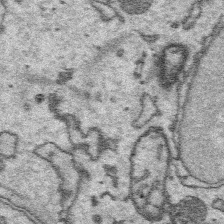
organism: Platynereis dumerilii